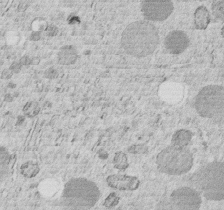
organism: C. elegans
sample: C. elegans embryo early stage